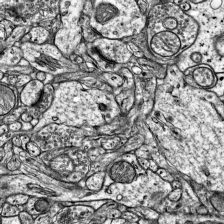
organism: Mouse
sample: Visual Cortex